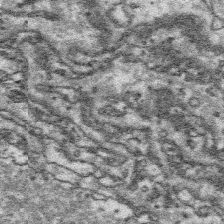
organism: Platynereis dumerilii